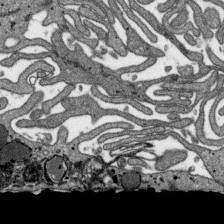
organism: Human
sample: Lung epithelial cells, uninfected (mock) control